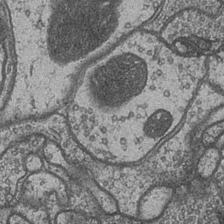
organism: Drosophila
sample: Optic medulla